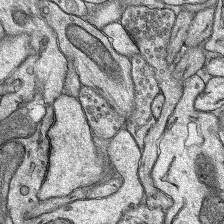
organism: Rat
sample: Hippocampus